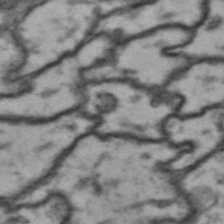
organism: Drosophila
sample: Brain